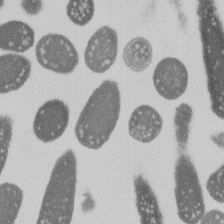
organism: E. coli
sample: Bacterial nucleoid